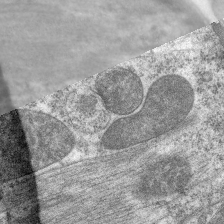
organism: C. elegans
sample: Pharynx